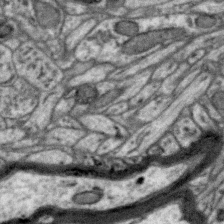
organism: Zebra finch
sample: Brain